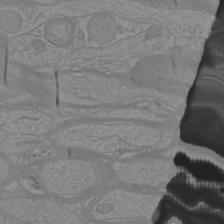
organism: Mouse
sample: Cortical neurons